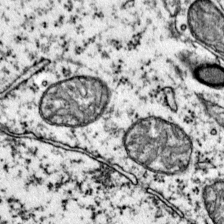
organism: Mouse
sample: Primary visual cortex